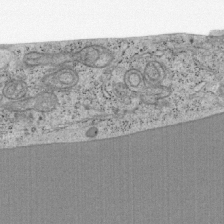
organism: Human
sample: HeLa cells